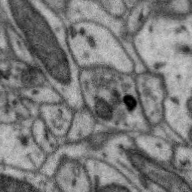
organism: Zebra finch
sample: Brain